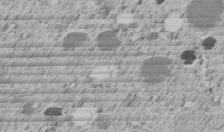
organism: C. elegans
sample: C. elegans embryo early stage